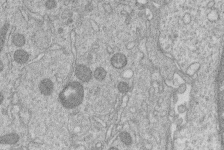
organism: Human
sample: Macrophage cells